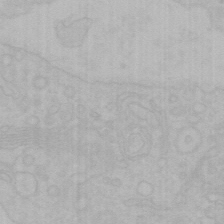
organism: Mouse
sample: Choroid plexus